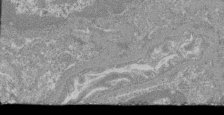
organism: Mouse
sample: Glomerulus